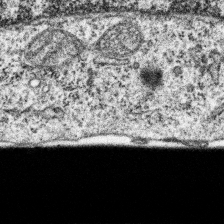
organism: Human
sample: HeLa cells